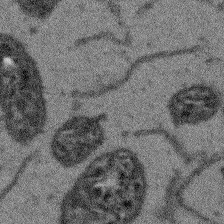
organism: Arabidopsis thaliana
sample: Root tip